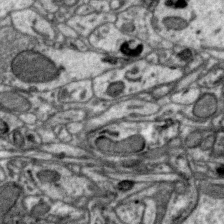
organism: Zebra finch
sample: Brain